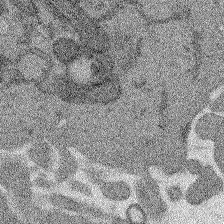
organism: Human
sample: HeLa cells